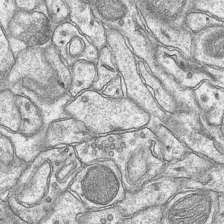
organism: Mouse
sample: CA1 Hippocampus